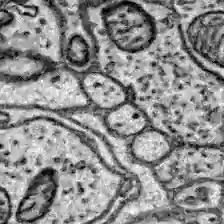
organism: Zebrafish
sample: Brain